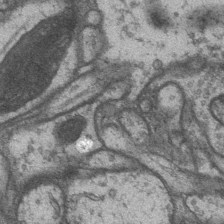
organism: Drosophila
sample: Optic medulla